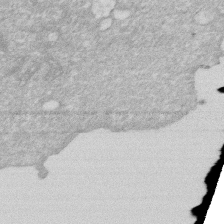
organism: Human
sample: HIV infected U937 cells